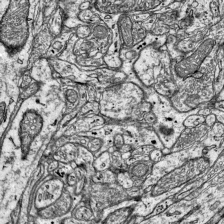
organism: Mouse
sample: Visual Cortex